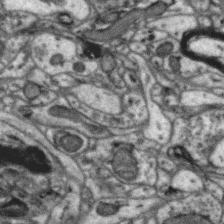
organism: Zebra finch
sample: Brain